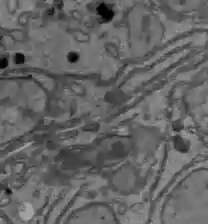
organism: C57BL Mouse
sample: Liver